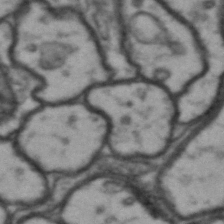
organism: Drosophila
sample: Brain